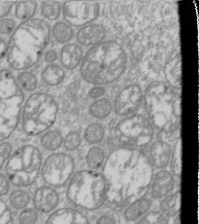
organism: Drosophila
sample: Cell division; meiosis; drosophila spermatocytes